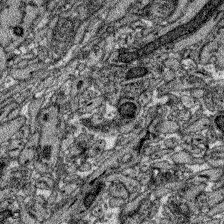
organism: Zebrafish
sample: Larval olfactory bulb